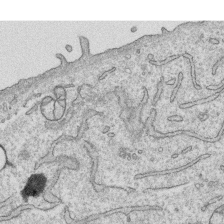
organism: Human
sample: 1205lu cells